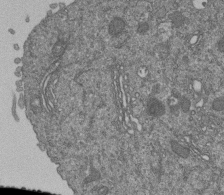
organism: Human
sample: Retinal organoid Rod and Cone cells